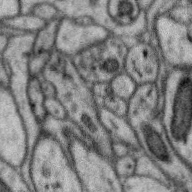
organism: Zebra finch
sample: Brain